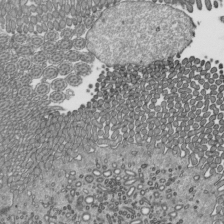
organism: Mouse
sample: Mouse epididymis efferent ductule cilia